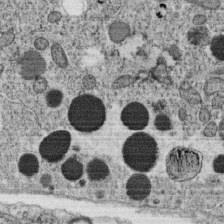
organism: C. elegans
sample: C. elegans oocyte; sperm cells